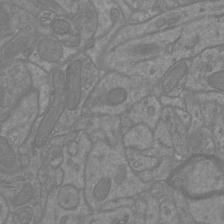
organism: Mouse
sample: Cortical neurons